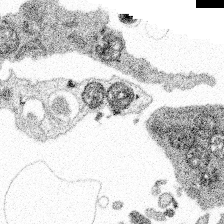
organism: Spongilla lacustris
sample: Multiple